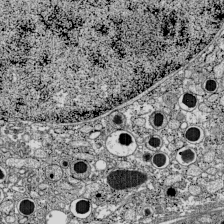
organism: C57BL Mouse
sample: Pancreatic islet